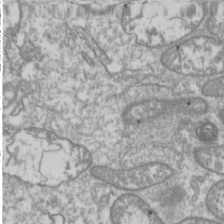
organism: Drosophila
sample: Cell division; meiosis; drosophila spermatocytes